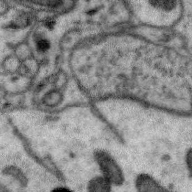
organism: Zebra finch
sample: Brain